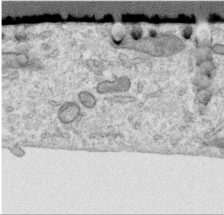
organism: Human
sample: Centriole in RPE cells